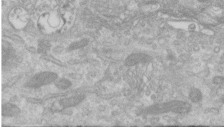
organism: Human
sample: Centriole in RPE cells